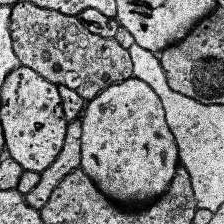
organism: Human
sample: Temporal Lobe